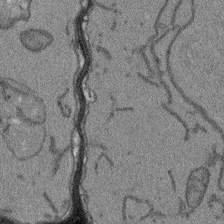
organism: Arabidopsis thaliana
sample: Root tip